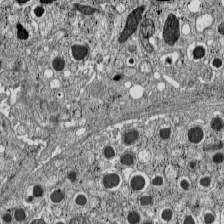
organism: C57BL Mouse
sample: Pancreatic islet